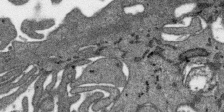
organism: Human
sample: Lung epithelial cells, uninfected (mock) control